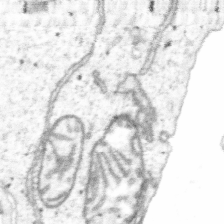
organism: Human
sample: HeLa cells